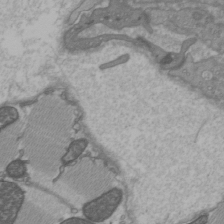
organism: C57BL Mouse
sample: Heart